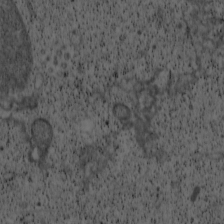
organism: African green monkey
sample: COS-7 cells